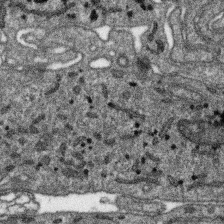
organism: Human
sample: Lung epithelial cells infected with SARS-CoV-2